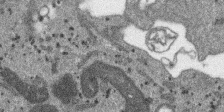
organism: Human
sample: Lung epithelial cells infected with SARS-CoV-2